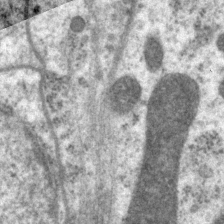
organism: P. pacificus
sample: Pharynx